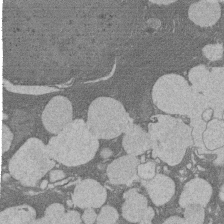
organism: Rat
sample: Salivary granule